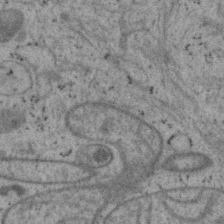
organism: Human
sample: HeLa cells